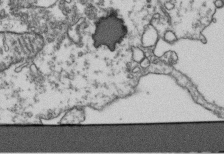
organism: Human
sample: Activated Jurkat CD4+ T cells